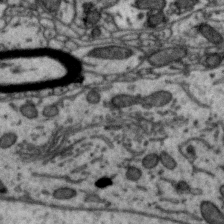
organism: Zebra finch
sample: Brain